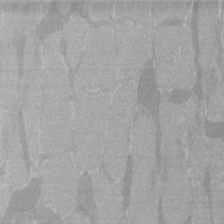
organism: C57BL Mouse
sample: Tibialis anterior muscle cell